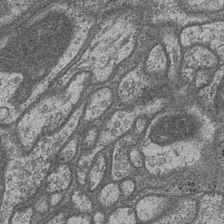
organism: Drosophila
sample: Optic medulla